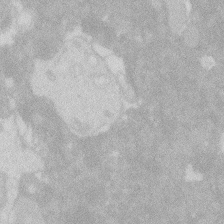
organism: Zebrafish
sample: Macrophage